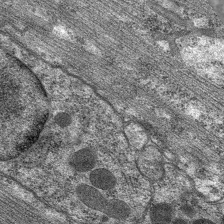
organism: C. elegans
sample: Pharynx